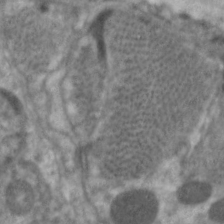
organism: C. elegans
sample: Pharynx